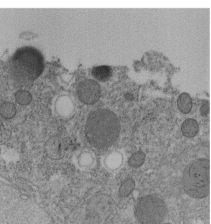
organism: C. elegans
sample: C. elegans embryo early stage